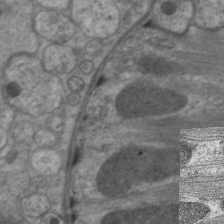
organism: C. elegans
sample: Pharynx